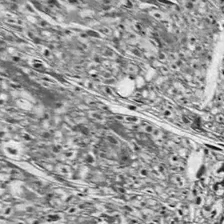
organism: Drosophila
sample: Optic lobe